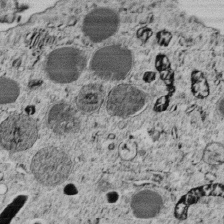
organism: C. elegans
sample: C. elegans embryo early stage